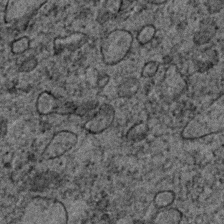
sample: Trachea